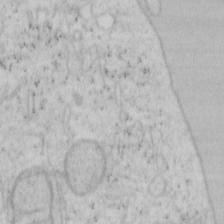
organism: Human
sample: HeLa cells